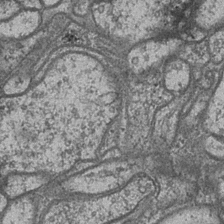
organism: Drosophila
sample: Optic medulla